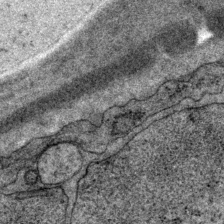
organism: P. pacificus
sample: Pharynx